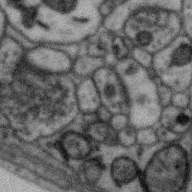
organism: Zebra finch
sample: Brain